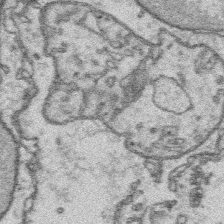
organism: Platynereis dumerilii